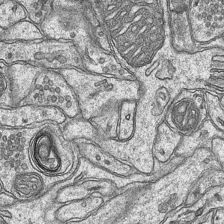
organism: Mouse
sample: CA1 Hippocampus